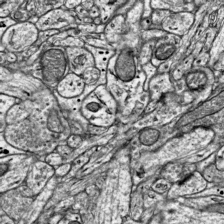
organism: Mouse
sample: Visual Cortex